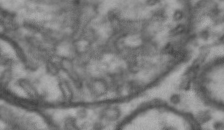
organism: Drosophila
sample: Brain